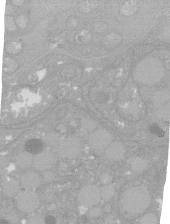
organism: C. elegans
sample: C. elegans oocyte; sperm cells